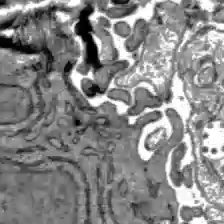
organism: C57BL Mouse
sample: Liver